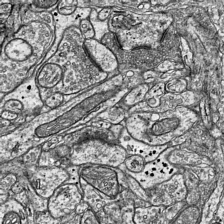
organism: Mouse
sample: Visual Cortex